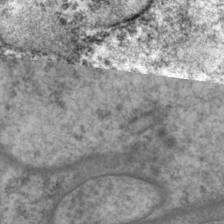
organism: P. pacificus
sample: Pharynx